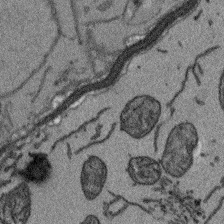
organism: Arabidopsis thaliana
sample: Root tip